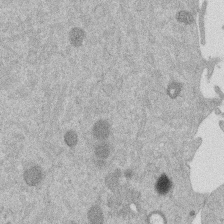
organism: Mouse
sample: Dividing mouse embryo 1 cell stage